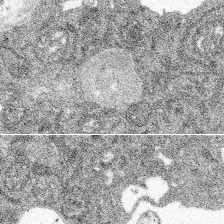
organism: Spongilla lacustris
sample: Multiple